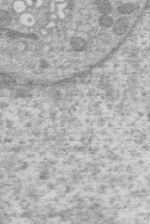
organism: Human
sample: Macrophage cells